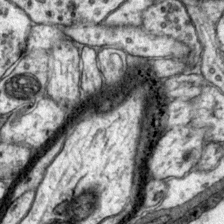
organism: Mouse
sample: Primary visual cortex